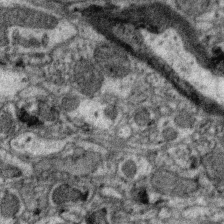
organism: Zebra finch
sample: Brain